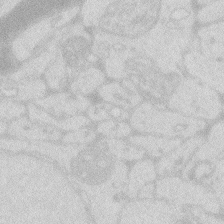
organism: Zebrafish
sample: Macrophage